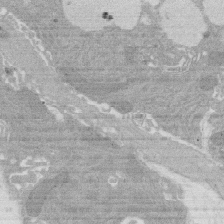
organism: Rat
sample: Salivary granule